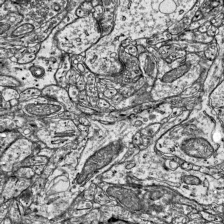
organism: Mouse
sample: Visual Cortex